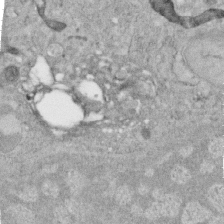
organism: Human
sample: Centriole in RPE cells